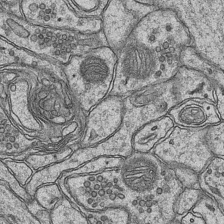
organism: Mouse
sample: CA1 Hippocampus